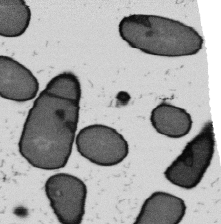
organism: B. subtilis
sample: Bacterial spore